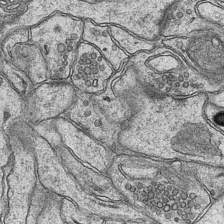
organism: Mouse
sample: CA1 Hippocampus